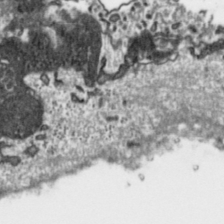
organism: Toxoplasma gondii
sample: Parasites in a vacuole inside a host cell